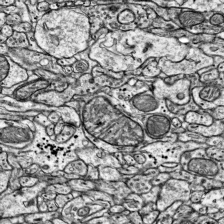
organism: Mouse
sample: Visual Cortex